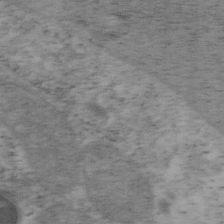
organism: Mouse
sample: OT-I killer T cells with ID8 ovarian cancer cells